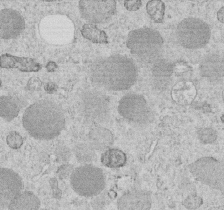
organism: C. elegans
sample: C. elegans embryo early stage